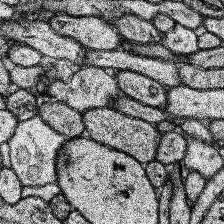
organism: Human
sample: Temporal Lobe